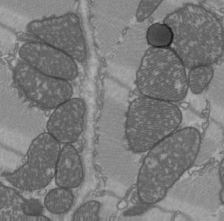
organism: C57BL Mouse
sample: Heart